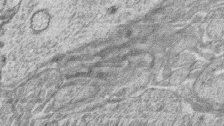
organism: Zebrafish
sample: synaptic ribbons in rod cells and cone cells